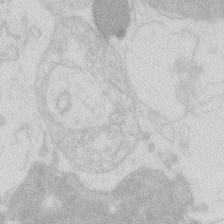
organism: Zebrafish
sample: Macrophage